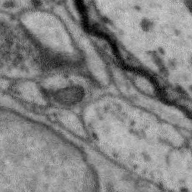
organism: Zebra finch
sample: Brain